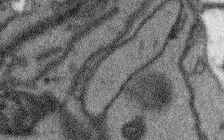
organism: Arabidopsis thaliana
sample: Root tip